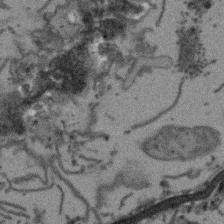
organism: Arabidopsis thaliana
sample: Root tip